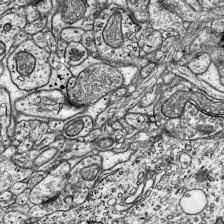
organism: Mouse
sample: Visual Cortex